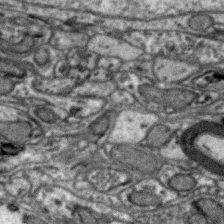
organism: Zebra finch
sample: Brain